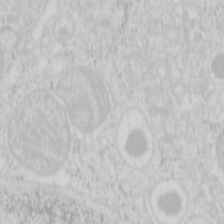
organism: Mouse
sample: Pancreas